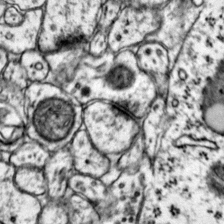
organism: Mouse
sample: Primary visual cortex